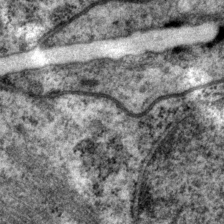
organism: P. pacificus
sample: Pharynx